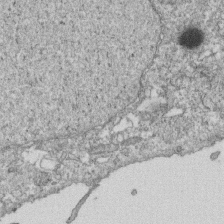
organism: Human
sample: HeLa cell HIV synapse